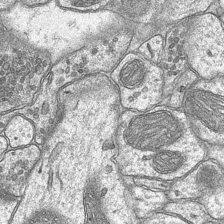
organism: Mouse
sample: CA1 Hippocampus